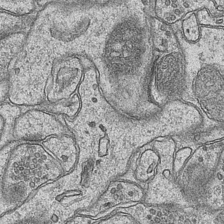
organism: Mouse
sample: CA1 Hippocampus